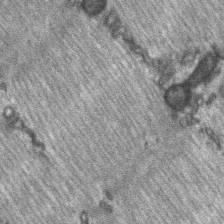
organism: C57BL Mouse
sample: Soleus